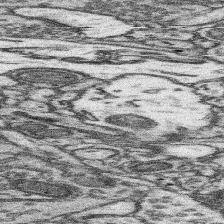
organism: Mouse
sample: Somatosensory cortex neuropil